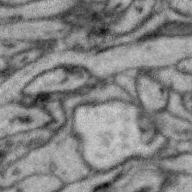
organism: Zebra finch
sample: Brain